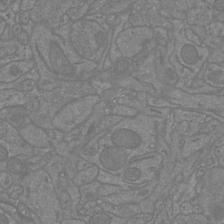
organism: Mouse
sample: Cortical neurons